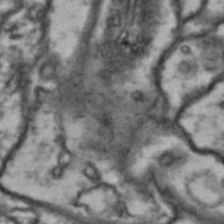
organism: Drosophila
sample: Brain